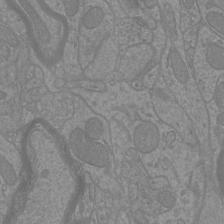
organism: Mouse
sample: Cortical neurons